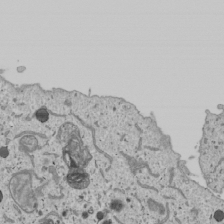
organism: Human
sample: Mitochondria in U2OS cells